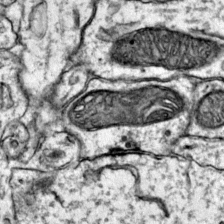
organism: Mouse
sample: Primary visual cortex